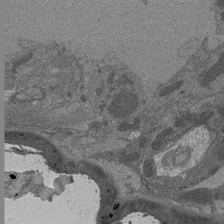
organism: Drosophila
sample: Antenna